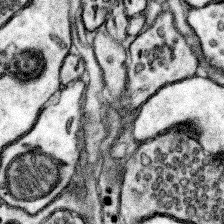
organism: Mouse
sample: Somatosensory cortex neuropil